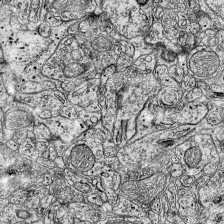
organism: Mouse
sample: Visual Cortex